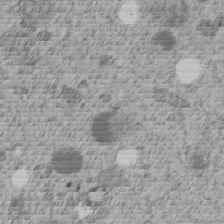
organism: C. elegans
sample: C. elegans embryo early stage